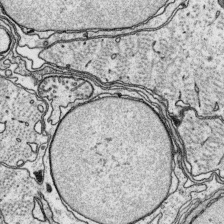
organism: Platynereis dumerilii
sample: Parapodia